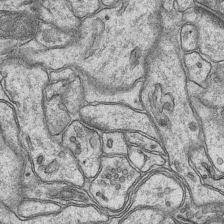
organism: Mouse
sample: CA1 Hippocampus